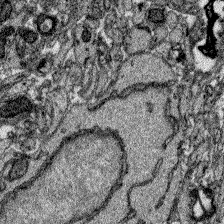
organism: Zebrafish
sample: Larval olfactory bulb